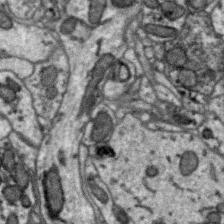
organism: Zebra finch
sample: Brain